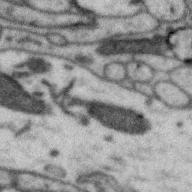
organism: Zebra finch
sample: Brain